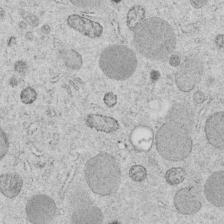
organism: C. elegans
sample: C. elegans embryo early stage